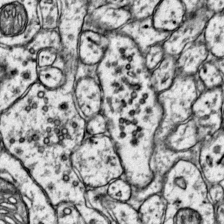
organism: Mouse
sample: Primary visual cortex